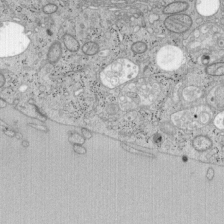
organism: Mouse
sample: OT-I killer T cells with ID8 ovarian cancer cells